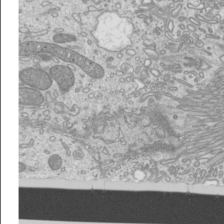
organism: Mouse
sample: Cilia; mouse epididymis